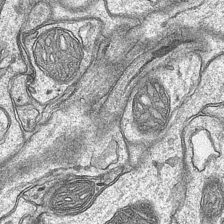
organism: Mouse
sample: CA1 Hippocampus